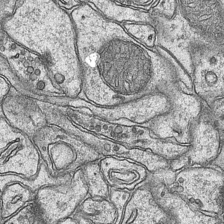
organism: Mouse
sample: CA1 Hippocampus